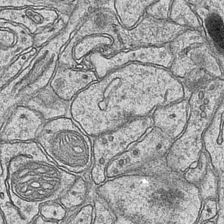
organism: Mouse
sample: CA1 Hippocampus